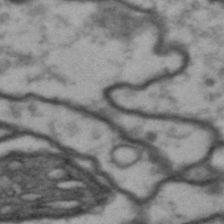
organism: Drosophila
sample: Brain